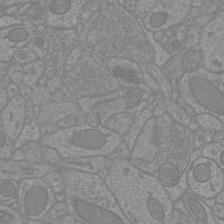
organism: Mouse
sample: Cortical neurons